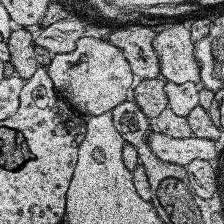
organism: Human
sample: Temporal Lobe